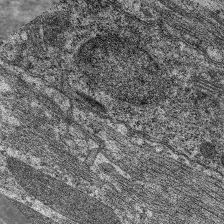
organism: C. elegans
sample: Pharynx